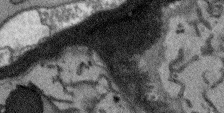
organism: Arabidopsis thaliana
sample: Root tip